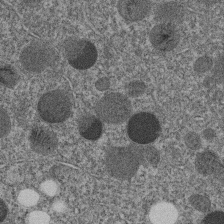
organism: C. elegans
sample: C. elegans embryo early stage